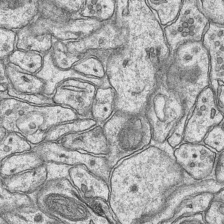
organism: Mouse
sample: CA1 Hippocampus